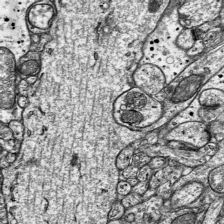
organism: Mouse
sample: Visual Cortex